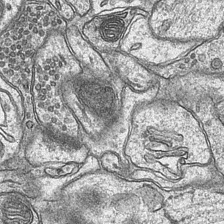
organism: Mouse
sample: CA1 Hippocampus